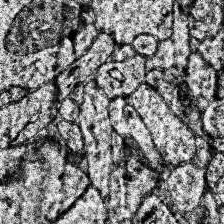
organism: Human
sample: Temporal Lobe